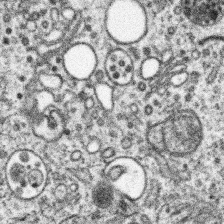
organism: Human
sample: HeLa cells